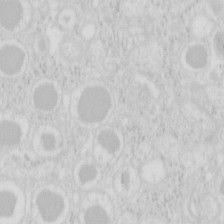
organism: Mouse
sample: Pancreas